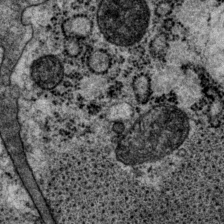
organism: P. pacificus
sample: Pharynx